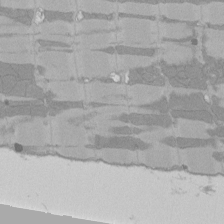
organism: Rat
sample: Left ventricle